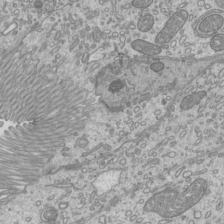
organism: Mouse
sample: Cilia; mouse epididymis